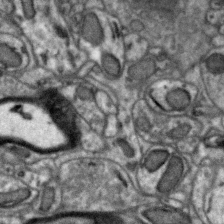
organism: Zebra finch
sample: Brain